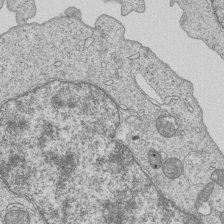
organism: Human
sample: MDA-MB-231 cells